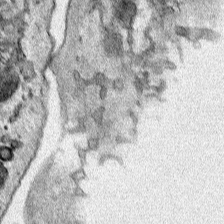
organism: Human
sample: Mitochondria in HCT116 cells